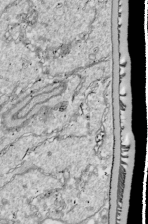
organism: Drosophila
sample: Cell division; meiosis; drosophila spermatocytes